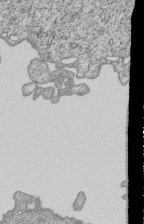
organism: Human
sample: MDA-MB-231 cells